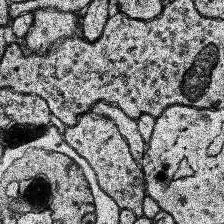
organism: Human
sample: Temporal Lobe